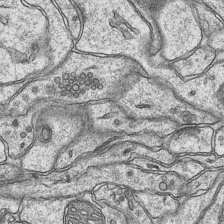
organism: Mouse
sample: CA1 Hippocampus